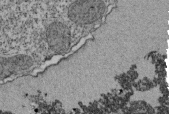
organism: Tetrahymena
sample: Cilia in tetrahymena